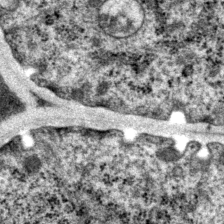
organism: P. pacificus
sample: Pharynx